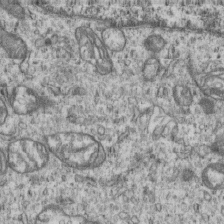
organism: Human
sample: MDA-MB-231 cells